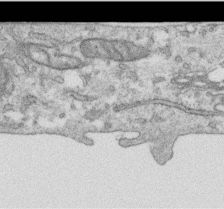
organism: Human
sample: Centriole in RPE cells